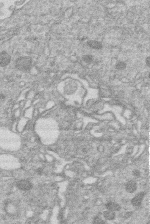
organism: Human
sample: Macrophage cells